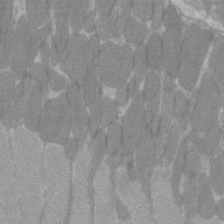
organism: C57BL Mouse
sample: Tibialis anterior muscle cell